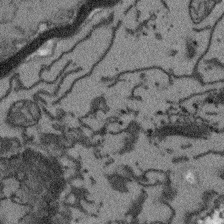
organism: Arabidopsis thaliana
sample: Root tip